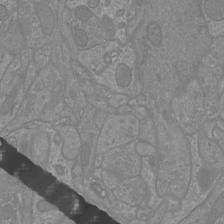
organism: Mouse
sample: Cortical neurons